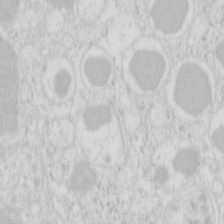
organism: Mouse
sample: Pancreas